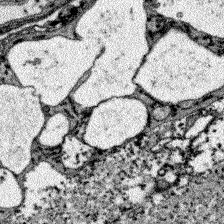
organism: Zebrafish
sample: Larval olfactory bulb